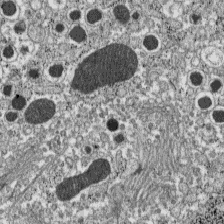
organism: C57BL Mouse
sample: Pancreatic islet